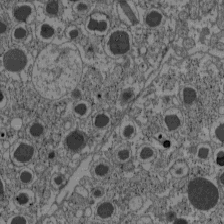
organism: C57BL Mouse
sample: Pancreatic islet